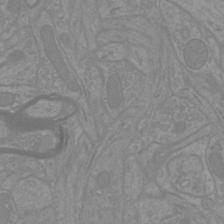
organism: Mouse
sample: Cortical neurons